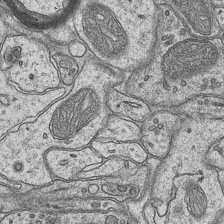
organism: Mouse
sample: CA1 Hippocampus